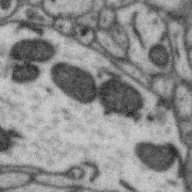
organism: Zebra finch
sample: Brain